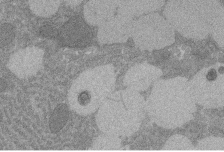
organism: Rat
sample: Salivary granule